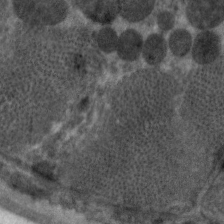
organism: C. elegans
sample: Pharynx